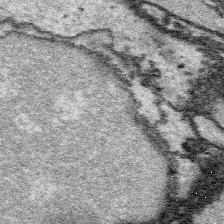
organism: Platynereis dumerilii